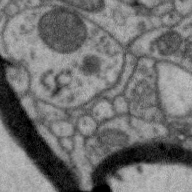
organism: Zebra finch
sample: Brain